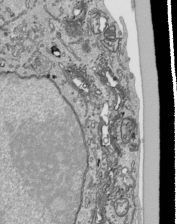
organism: Human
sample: Mitochondria in HCT116 cells